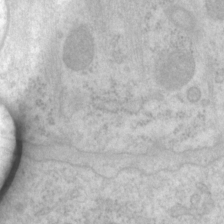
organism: P. pacificus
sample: Pharynx